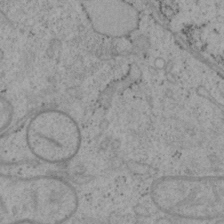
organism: Human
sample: HeLa cells